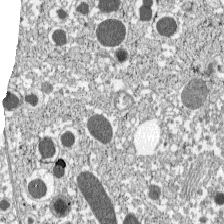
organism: C57BL Mouse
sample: Pancreatic islet